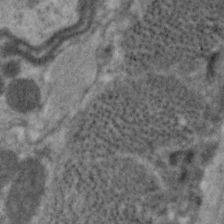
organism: C. elegans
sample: Pharynx